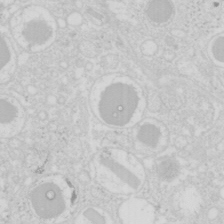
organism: Mouse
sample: Pancreas